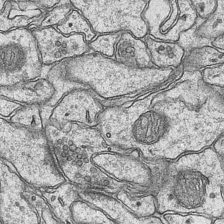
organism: Mouse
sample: CA1 Hippocampus